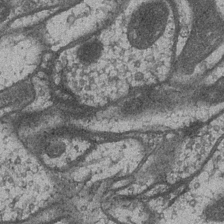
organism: Drosophila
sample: Optic medulla